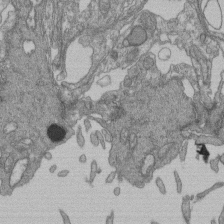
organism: Human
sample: Retinal organoid Rod and Cone cells